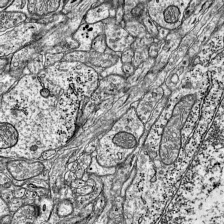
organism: Mouse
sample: Visual Cortex